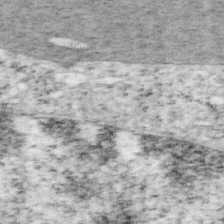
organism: Mouse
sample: OT-I killer T cells with ID8 ovarian cancer cells